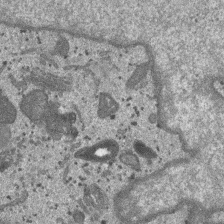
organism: Human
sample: Lung epithelial cells infected with SARS-CoV-2